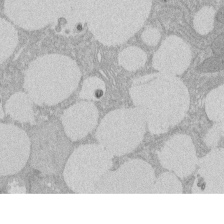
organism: Rat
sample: Salivary granule